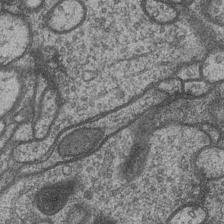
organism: Drosophila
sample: Optic medulla